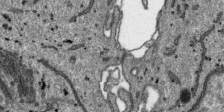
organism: Human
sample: Lung epithelial cells, uninfected (mock) control